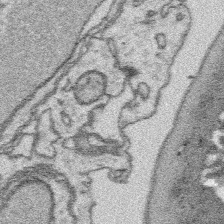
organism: Platynereis dumerilii